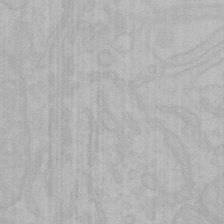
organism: Mouse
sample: Choroid plexus